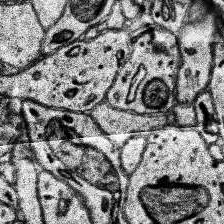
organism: Human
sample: Temporal Lobe